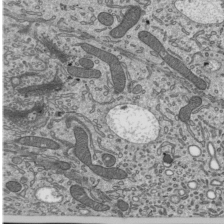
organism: Mouse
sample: Mouse epididymis efferent ductule cilia